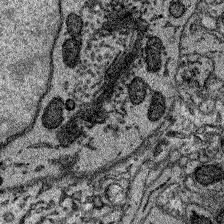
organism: Zebrafish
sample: Larval olfactory bulb